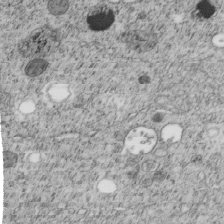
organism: C. elegans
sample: C. elegans embryo early stage